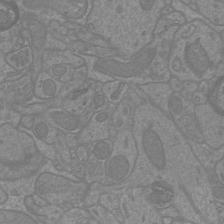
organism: Mouse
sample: Cortical neurons